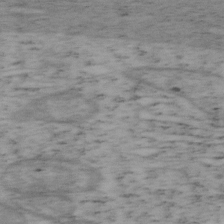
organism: Mouse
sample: OT-I killer T cells with ID8 ovarian cancer cells